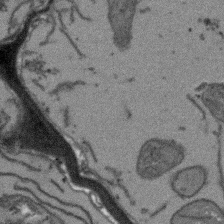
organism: Arabidopsis thaliana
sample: Root tip